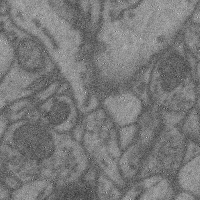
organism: Mouse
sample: Cerebral cortex